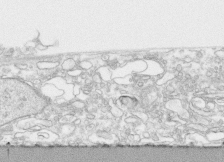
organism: Human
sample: CRL-1474